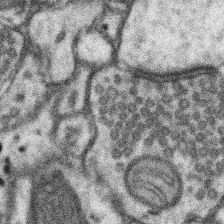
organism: Mouse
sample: Somatosensory cortex neuropil